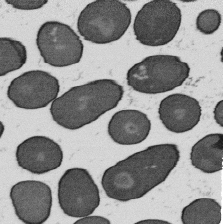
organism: B. subtilis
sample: Bacterial spore